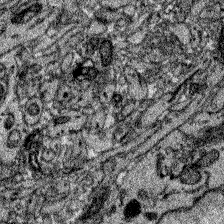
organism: Zebrafish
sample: Larval olfactory bulb